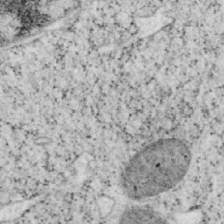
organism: Mouse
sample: OT-I killer T cells with ID8 ovarian cancer cells